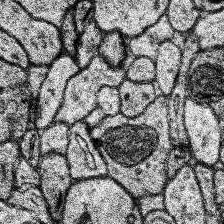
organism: Human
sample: Temporal Lobe